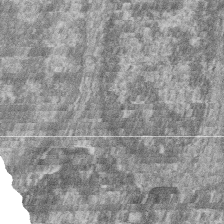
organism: Zebrafish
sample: Cilia; retinal pigment epithelium